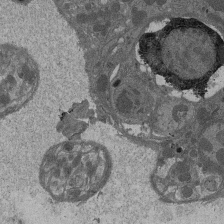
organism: Drosophila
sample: Antenna